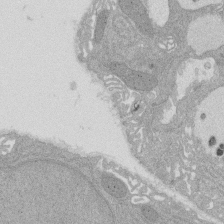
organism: Rat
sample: Salivary granule